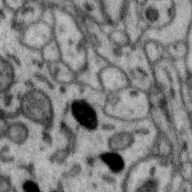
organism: Zebra finch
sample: Brain